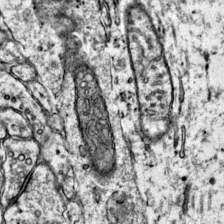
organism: Mouse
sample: Primary visual cortex